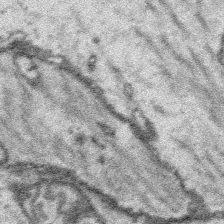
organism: Platynereis dumerilii